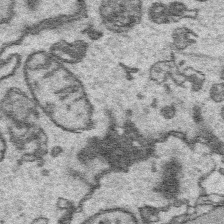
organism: Platynereis dumerilii